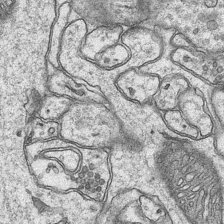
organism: Mouse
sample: CA1 Hippocampus